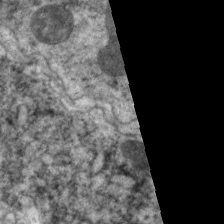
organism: C. elegans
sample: Pharynx